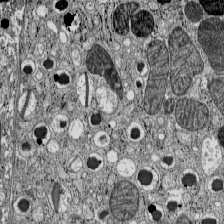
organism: C57BL Mouse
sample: Pancreatic islet